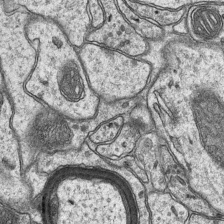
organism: Mouse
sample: CA1 Hippocampus